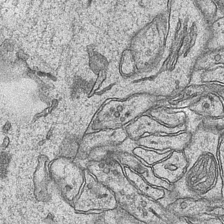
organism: Mouse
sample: CA1 Hippocampus